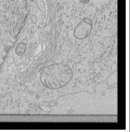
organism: Human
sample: Mitochondria in HCT116 cells